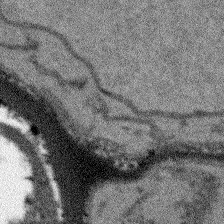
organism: Arabidopsis thaliana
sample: Root tip